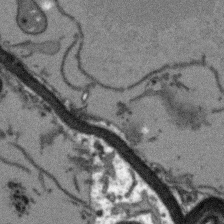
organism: Arabidopsis thaliana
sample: Root tip